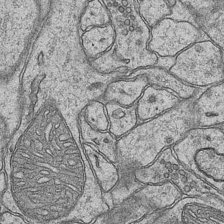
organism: Mouse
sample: CA1 Hippocampus